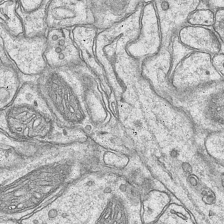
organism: Mouse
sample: CA1 Hippocampus